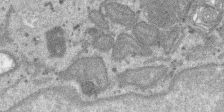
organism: Human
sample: Lung epithelial cells infected with SARS-CoV-2